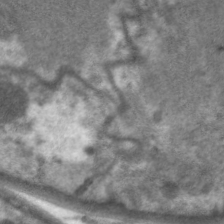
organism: C. elegans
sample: Pharynx